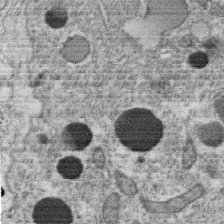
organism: C. elegans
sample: C. elegans oocyte; sperm cells